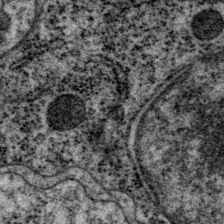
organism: P. pacificus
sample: Pharynx